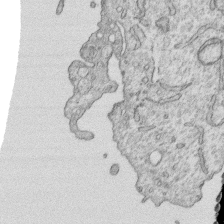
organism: Human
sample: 1205lu cells